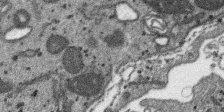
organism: Human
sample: Lung epithelial cells infected with SARS-CoV-2